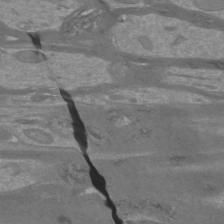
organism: Mouse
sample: Cortical neurons